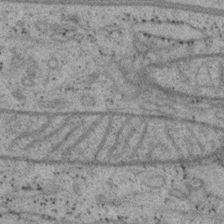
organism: Human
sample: HeLa cells